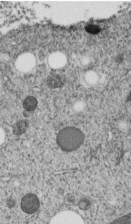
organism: C. elegans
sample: C. elegans embryo early stage